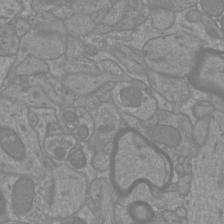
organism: Mouse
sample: Cortical neurons